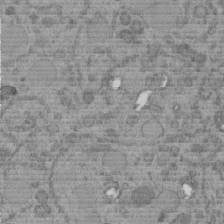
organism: C. elegans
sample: C. elegans embryo early stage